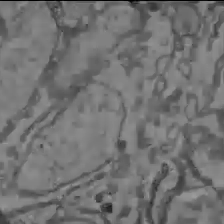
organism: C57BL Mouse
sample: Liver